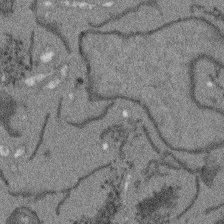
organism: Arabidopsis thaliana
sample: Root tip